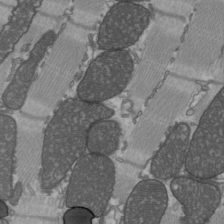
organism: C57BL Mouse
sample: Heart